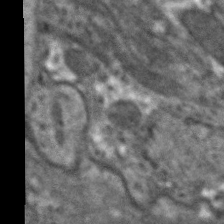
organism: C. elegans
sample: Pharynx